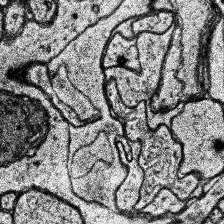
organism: Human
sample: Temporal Lobe